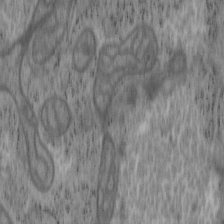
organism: Human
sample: HeLa cells